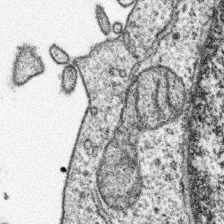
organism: Human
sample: HeLa cells